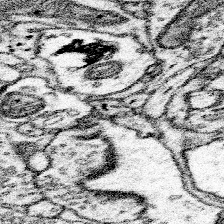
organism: Mouse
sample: Somatosensory cortex neuropil